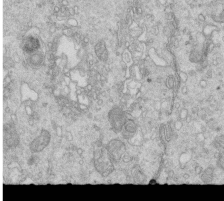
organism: Mouse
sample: Multiciliated cells